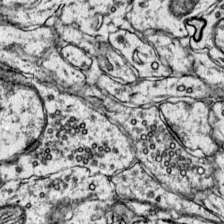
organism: Mouse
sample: Primary visual cortex